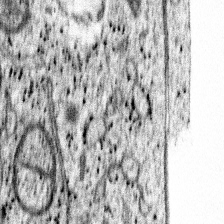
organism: Human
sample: HeLa cells